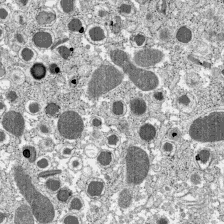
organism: C57BL Mouse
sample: Pancreatic islet